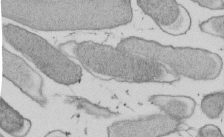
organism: E. coli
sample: Bacterial nucleoid